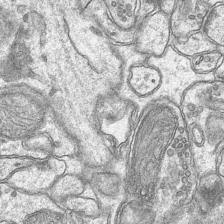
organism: Mouse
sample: CA1 Hippocampus